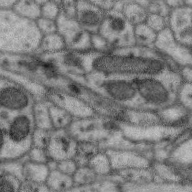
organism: Zebra finch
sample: Brain